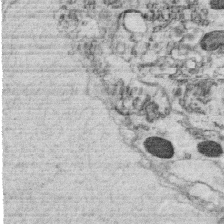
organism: C. elegans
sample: C. elegans oocyte; sperm cells